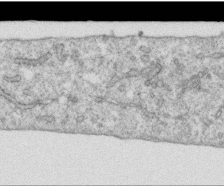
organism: Human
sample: Centriole in RPE cells